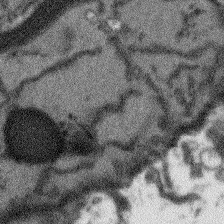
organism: Arabidopsis thaliana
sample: Root tip